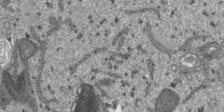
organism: Human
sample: Lung epithelial cells infected with SARS-CoV-2